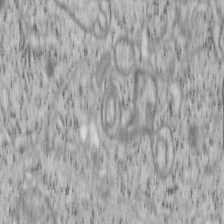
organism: Human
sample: HeLa cells